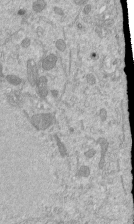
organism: Mouse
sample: ED-1 cell nuclei; centrioles